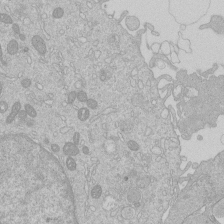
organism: Human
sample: Macrophage cells